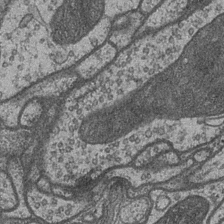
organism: Drosophila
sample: Optic medulla